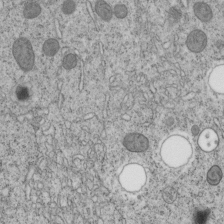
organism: C. elegans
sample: C. elegans embryo early stage